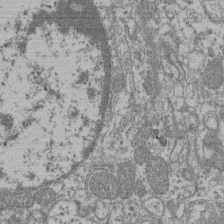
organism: Mouse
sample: Glomerulus